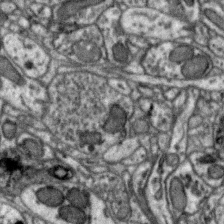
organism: Zebra finch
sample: Brain